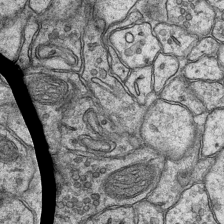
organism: Mouse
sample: CA1 Hippocampus